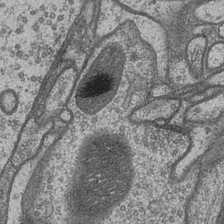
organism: Drosophila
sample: Optic medulla